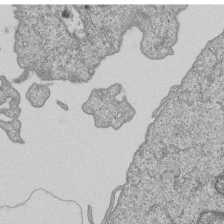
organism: Human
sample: MDA-MB-231 cells